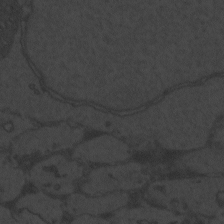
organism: Zebrafish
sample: Macrophage infected with Toxoplasma gondii